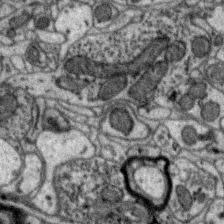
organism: Zebra finch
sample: Brain